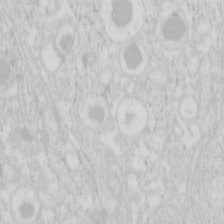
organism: Mouse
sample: Pancreas